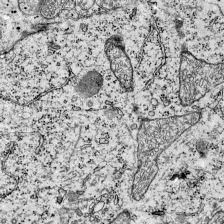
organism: Mouse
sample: Visual Cortex